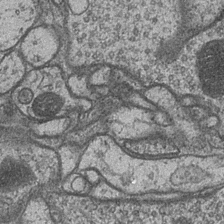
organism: Drosophila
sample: Optic medulla